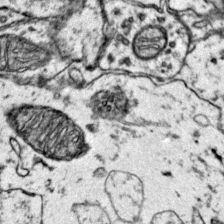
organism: Mouse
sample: Primary visual cortex